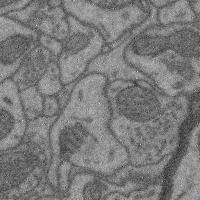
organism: Mouse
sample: Cerebral cortex